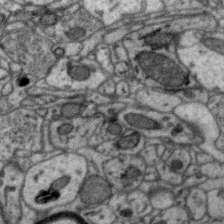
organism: Zebra finch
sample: Brain